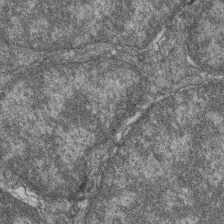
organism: Zebrafish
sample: Cilia; retinal pigment epithelium